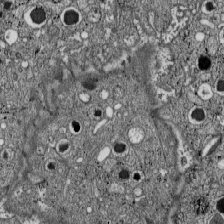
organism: C57BL Mouse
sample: Pancreatic islet